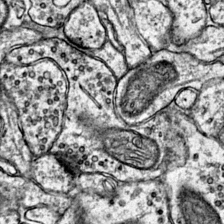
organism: Mouse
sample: Primary visual cortex